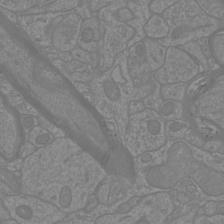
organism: Mouse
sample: Cortical neurons